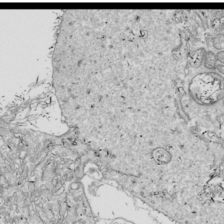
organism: Drosophila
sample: Cell division; meiosis; drosophila spermatocytes